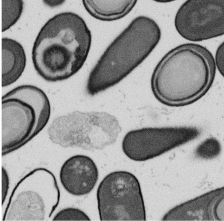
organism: B. subtilis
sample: Bacterial spore